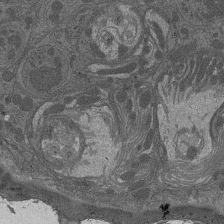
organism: Drosophila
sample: Antenna